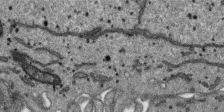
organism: Human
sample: Lung epithelial cells, uninfected (mock) control